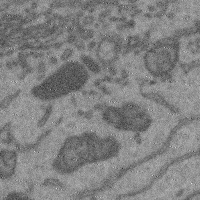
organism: Mouse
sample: Cerebral cortex